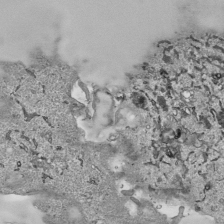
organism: Human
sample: Mitochondria in HCT116 cells